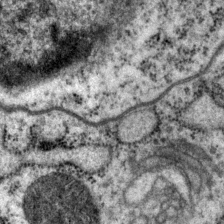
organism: P. pacificus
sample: Pharynx